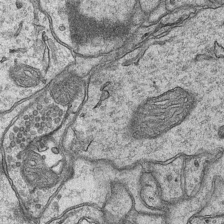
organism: Mouse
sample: CA1 Hippocampus